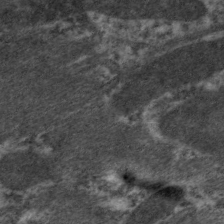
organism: C. elegans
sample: Pharynx